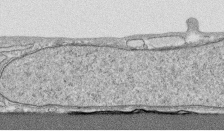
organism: Human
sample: CRL-1474